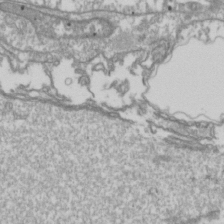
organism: Drosophila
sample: Cell division; meiosis; drosophila spermatocytes